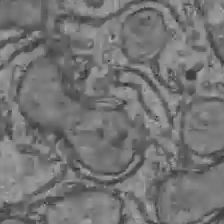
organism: C57BL Mouse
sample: Liver